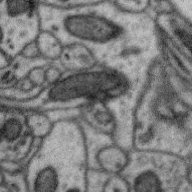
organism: Zebra finch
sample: Brain